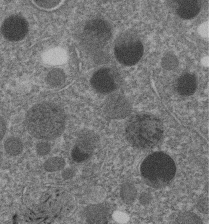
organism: C. elegans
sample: C. elegans embryo early stage